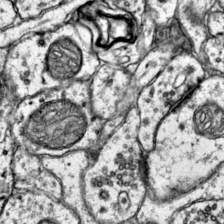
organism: Mouse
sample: Primary visual cortex